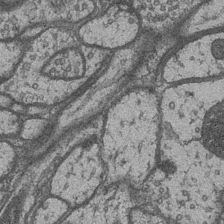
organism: Drosophila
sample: Optic medulla